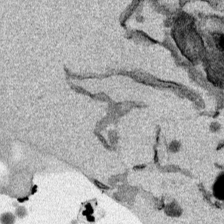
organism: Mouse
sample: Cancer cell death in ED-1 cells